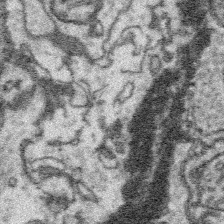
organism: Platynereis dumerilii